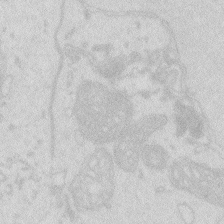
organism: Zebrafish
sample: Macrophage